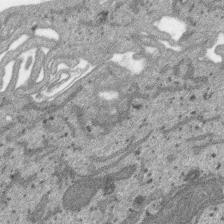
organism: Human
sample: Lung epithelial cells infected with SARS-CoV-2